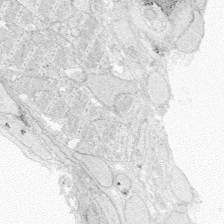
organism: Zebrafish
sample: Whole-Brain